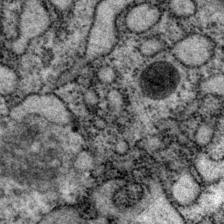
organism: P. pacificus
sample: Pharynx